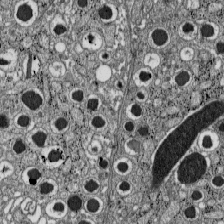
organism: C57BL Mouse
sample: Pancreatic islet